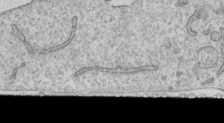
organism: Human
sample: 1205lu cells